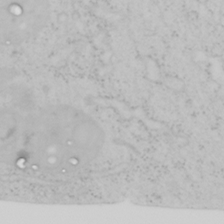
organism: Mouse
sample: OT-I killer T cells with ID8 ovarian cancer cells